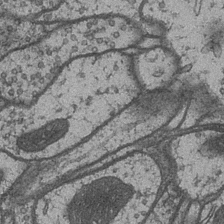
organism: Drosophila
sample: Optic medulla